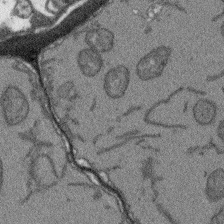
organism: Arabidopsis thaliana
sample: Root tip